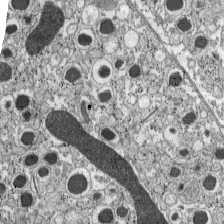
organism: C57BL Mouse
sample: Pancreatic islet